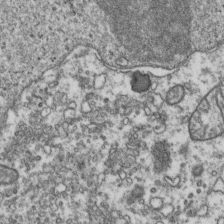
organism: Human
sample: Activated Jurkat CD4+ T cells